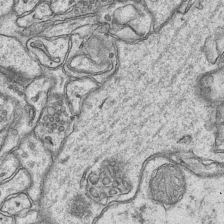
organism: Mouse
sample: CA1 Hippocampus